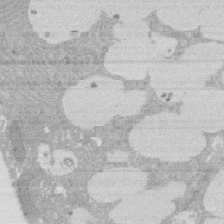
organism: Rat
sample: Salivary granule